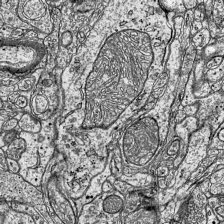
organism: Mouse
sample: Visual Cortex